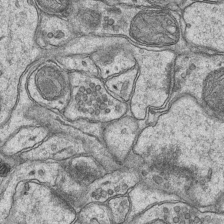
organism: Mouse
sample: CA1 Hippocampus